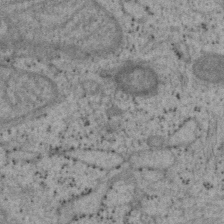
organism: Human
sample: HeLa cells